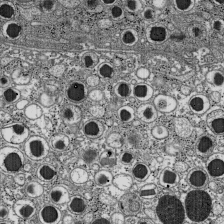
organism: C57BL Mouse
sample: Pancreatic islet